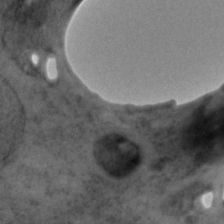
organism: C. elegans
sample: C. elegans embryo